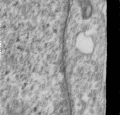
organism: Human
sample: Centriole in RPE cells